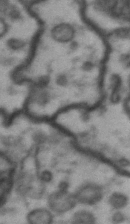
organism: Drosophila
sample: Brain